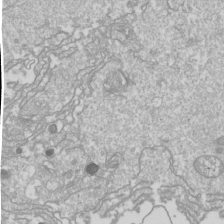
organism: Drosophila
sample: Cell division; meiosis; drosophila spermatocytes